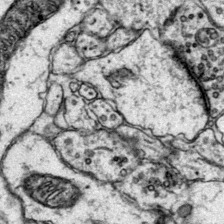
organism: Mouse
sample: Primary visual cortex